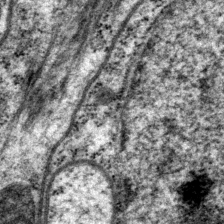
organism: P. pacificus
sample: Pharynx